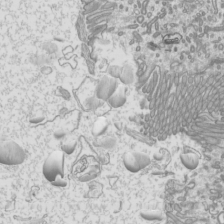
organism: Mouse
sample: Cilia; mouse epididymis